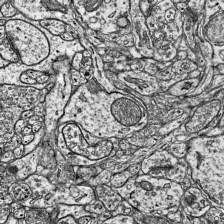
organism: Mouse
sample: Visual Cortex